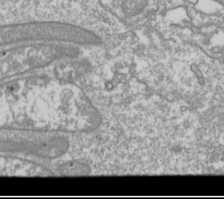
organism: Drosophila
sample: Cell division; meiosis; drosophila spermatocytes